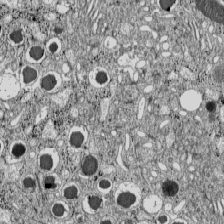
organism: C57BL Mouse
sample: Pancreatic islet